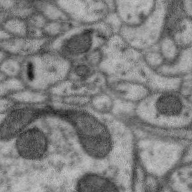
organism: Zebra finch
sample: Brain